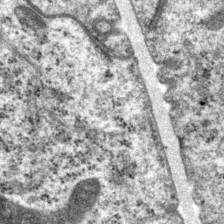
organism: P. pacificus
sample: Pharynx